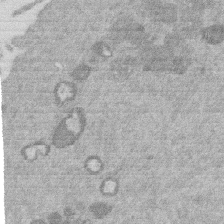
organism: Mouse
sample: Dividing mouse embryo 1 cell stage